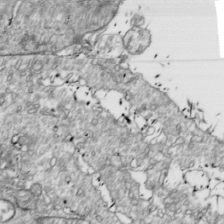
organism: Drosophila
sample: Cell division; meiosis; drosophila spermatocytes